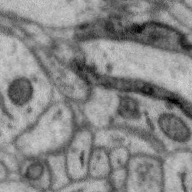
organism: Zebra finch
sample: Brain